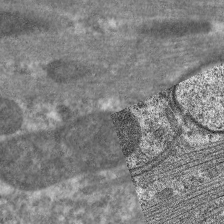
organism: C. elegans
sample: Pharynx